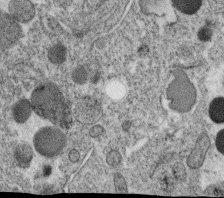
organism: C. elegans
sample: C. elegans oocyte; sperm cells